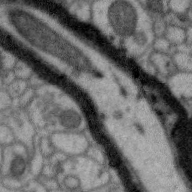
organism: Zebra finch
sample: Brain